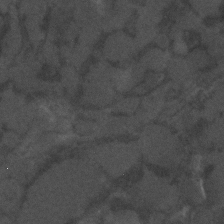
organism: C. elegans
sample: C. elegans embryo